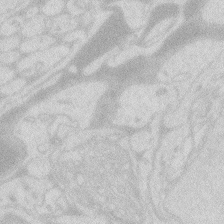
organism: Zebrafish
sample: Macrophage